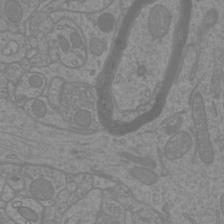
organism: Mouse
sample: Cortical neurons